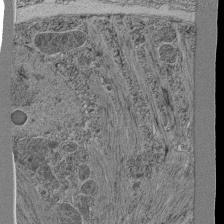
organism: C. elegans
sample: C. elegans pharynx